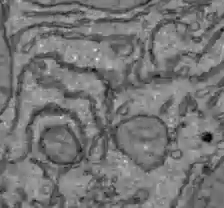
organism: C57BL Mouse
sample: Liver